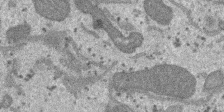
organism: Human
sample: Lung epithelial cells infected with SARS-CoV-2